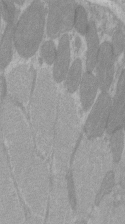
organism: C57BL Mouse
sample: Tibialis anterior muscle cell